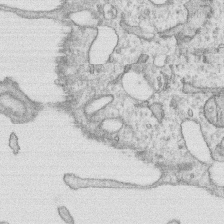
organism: Human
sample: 1205lu cells